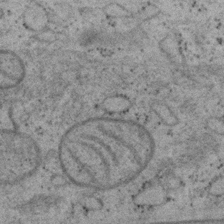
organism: Human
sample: HeLa cells